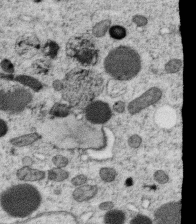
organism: C. elegans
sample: C. elegans oocyte; sperm cells